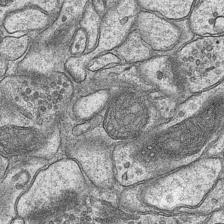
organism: Mouse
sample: CA1 Hippocampus